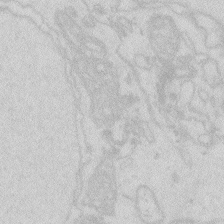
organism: Zebrafish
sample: Macrophage